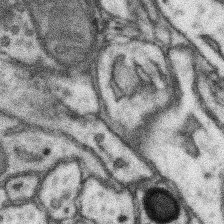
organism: Mouse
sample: Somatosensory cortex neuropil